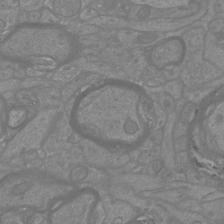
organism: Mouse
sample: Cortical neurons